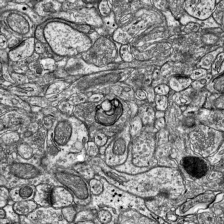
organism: Mouse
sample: Visual Cortex